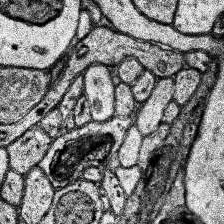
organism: Human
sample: Temporal Lobe